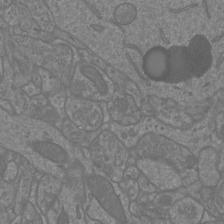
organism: Mouse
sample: Cortical neurons